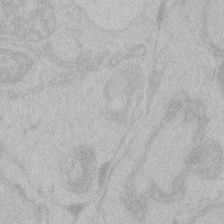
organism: Zebrafish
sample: Macrophage infected with Toxoplasma gondii